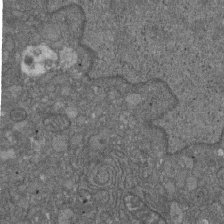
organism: Drosophila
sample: Nephrocyte